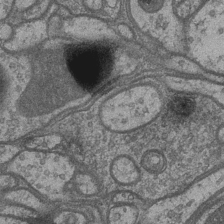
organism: Drosophila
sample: Optic medulla